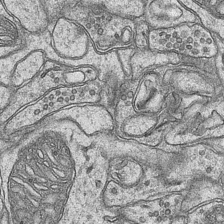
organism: Mouse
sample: CA1 Hippocampus